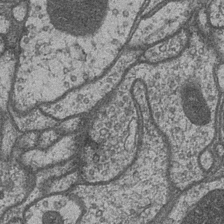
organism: Drosophila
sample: Optic medulla